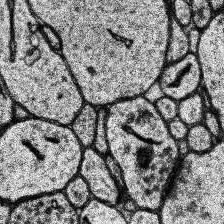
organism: Human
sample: Temporal Lobe